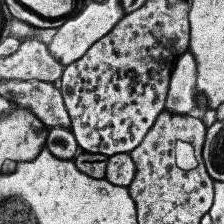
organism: Human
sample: Temporal Lobe